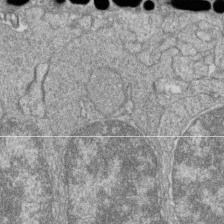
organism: Zebrafish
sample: Cilia; retinal pigment epithelium